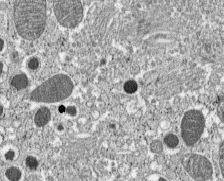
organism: C57BL Mouse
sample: Pancreatic islet